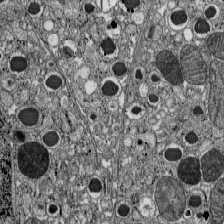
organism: C57BL Mouse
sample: Pancreatic islet